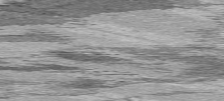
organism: C57BL Mouse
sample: Heart